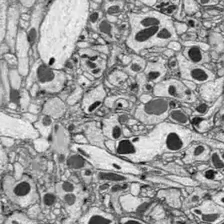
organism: Drosophila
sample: Optic lobe